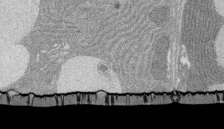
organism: Rat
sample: Salivary granule